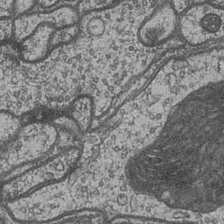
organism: Drosophila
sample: Optic medulla